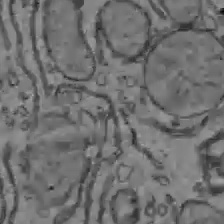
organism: C57BL Mouse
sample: Liver